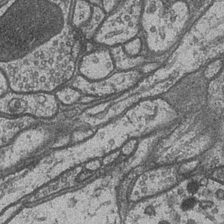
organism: Drosophila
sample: Optic medulla